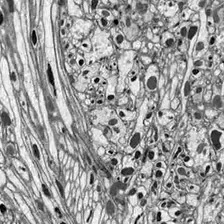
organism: Drosophila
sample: Optic lobe